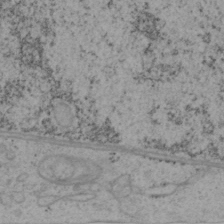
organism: Human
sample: HeLa cells